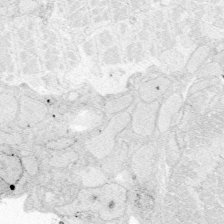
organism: Zebrafish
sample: Whole-Brain